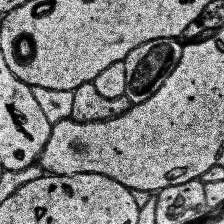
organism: Human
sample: Temporal Lobe